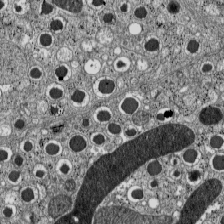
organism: C57BL Mouse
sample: Pancreatic islet